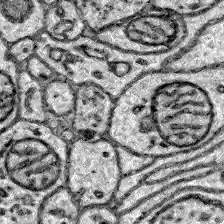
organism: Zebrafish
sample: Brain